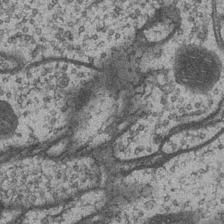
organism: Drosophila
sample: Optic medulla